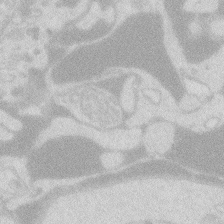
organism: Zebrafish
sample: Macrophage